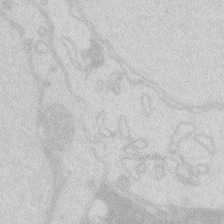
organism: Zebrafish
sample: Macrophage